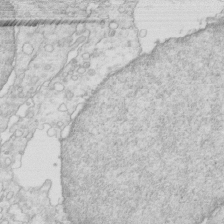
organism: Mouse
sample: Multiciliated cells